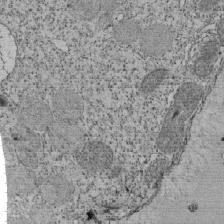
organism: Tetrahymena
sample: Cilia in tetrahymena